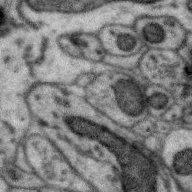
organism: Zebra finch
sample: Brain